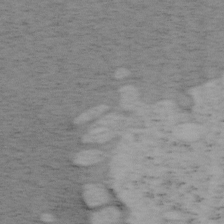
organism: Mouse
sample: OT-I killer T cells with ID8 ovarian cancer cells